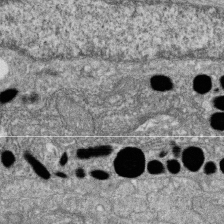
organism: Zebrafish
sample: Cilia; retinal pigment epithelium